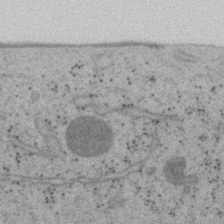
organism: Human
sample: HeLa cells